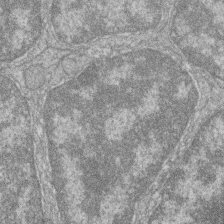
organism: Zebrafish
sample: Cilia; retinal pigment epithelium